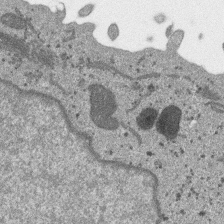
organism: Human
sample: Lung epithelial cells infected with SARS-CoV-2